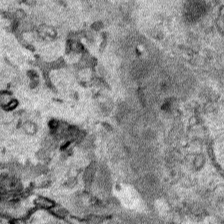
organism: Human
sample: Mitochondria in HCT116 cells